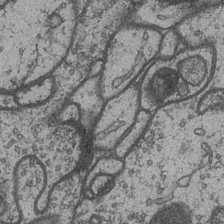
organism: Drosophila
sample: Optic medulla